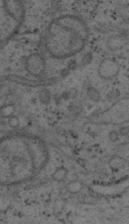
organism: Human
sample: HeLa cells